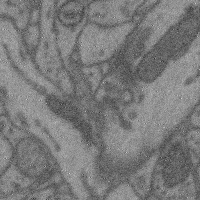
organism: Mouse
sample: Cerebral cortex